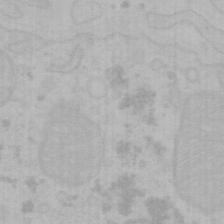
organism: Mouse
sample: Choroid plexus